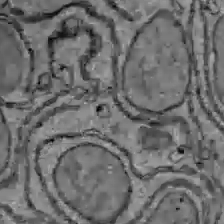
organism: C57BL Mouse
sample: Liver